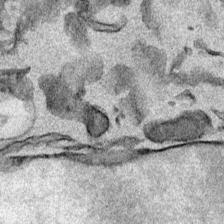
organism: Mouse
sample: Cancer cell death in ED-1 cells